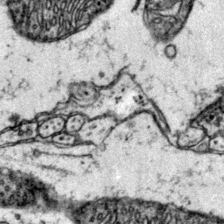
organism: Mouse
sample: Primary visual cortex